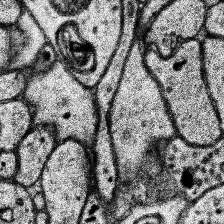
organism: Human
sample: Temporal Lobe